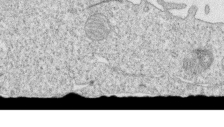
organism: Human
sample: HeLa cell HIV synapse